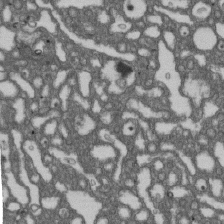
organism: Drosophila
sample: Nephrocyte